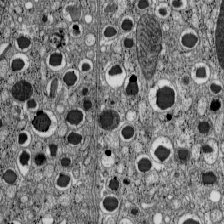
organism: C57BL Mouse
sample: Pancreatic islet